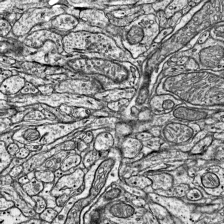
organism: Mouse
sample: Visual Cortex